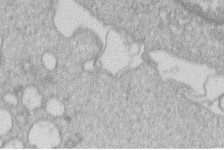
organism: Human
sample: Macrophage cells